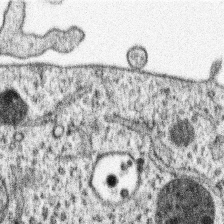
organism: Human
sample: HeLa cells